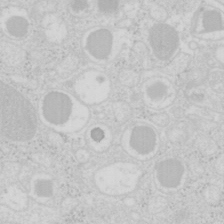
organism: Mouse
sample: Pancreas